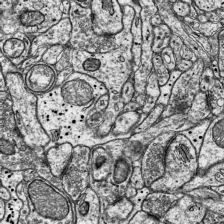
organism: Mouse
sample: Visual Cortex